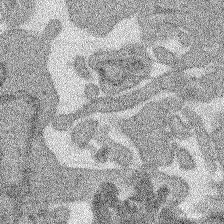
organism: Human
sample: HeLa cells